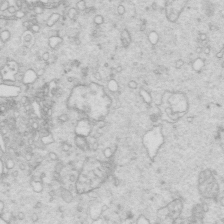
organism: Mouse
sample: Multiciliated cells